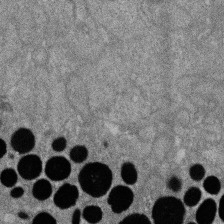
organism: Zebrafish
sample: Cilia; retinal pigment epithelium